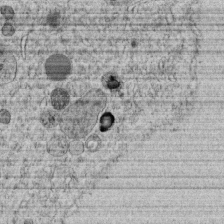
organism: C. elegans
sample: C. elegans embryo early stage